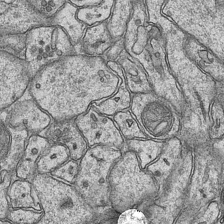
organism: Mouse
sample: CA1 Hippocampus